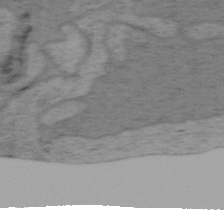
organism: Mouse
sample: OT-I killer T cells with ID8 ovarian cancer cells